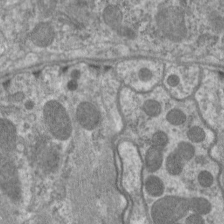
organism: C. elegans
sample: Pharynx